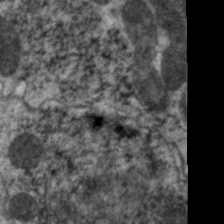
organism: C. elegans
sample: Pharynx